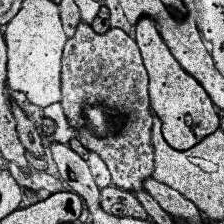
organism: Human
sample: Temporal Lobe